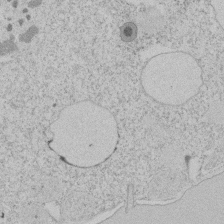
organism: Tetrahymena